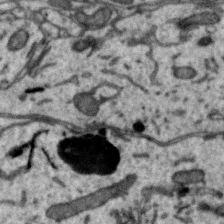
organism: Zebra finch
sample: Brain